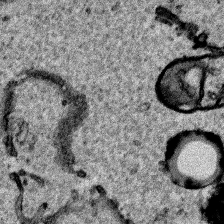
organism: Human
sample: Mitochondria in HCT116 cells